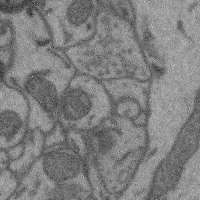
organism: Mouse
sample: Cerebral cortex